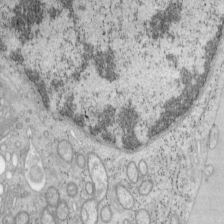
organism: Mouse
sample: OT-I killer T cells with ID8 ovarian cancer cells